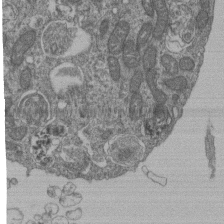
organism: Human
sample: Retinal organoid Rod and Cone cells